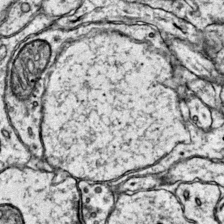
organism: Mouse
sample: Primary visual cortex